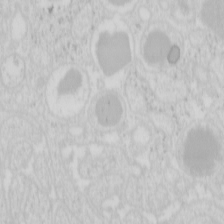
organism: Mouse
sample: Pancreas